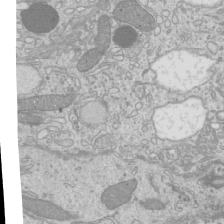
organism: Mouse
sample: Cilia; mouse epididymis